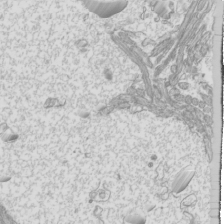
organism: Mouse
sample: Cilia; mouse epididymis